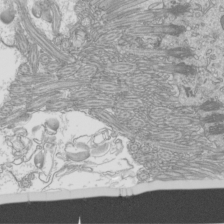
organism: Mouse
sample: Cilia; mouse epididymis